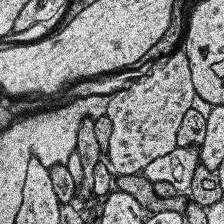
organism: Human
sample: Temporal Lobe